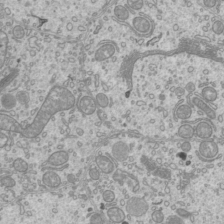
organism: Mouse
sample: Cilia; mouse epididymis